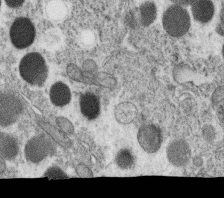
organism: C. elegans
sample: C. elegans oocyte; sperm cells